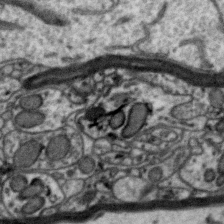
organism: Zebra finch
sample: Brain